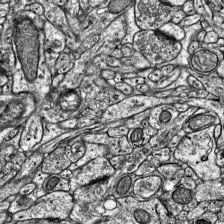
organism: Mouse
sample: Visual Cortex